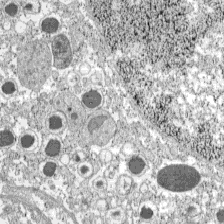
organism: C57BL Mouse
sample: Pancreatic islet